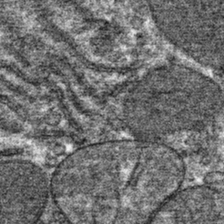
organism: Mouse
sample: Mouse hepatocytes